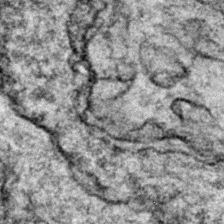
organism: Zebrafish